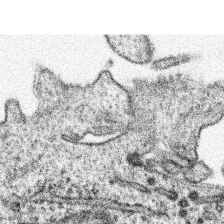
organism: Human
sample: HeLa cells